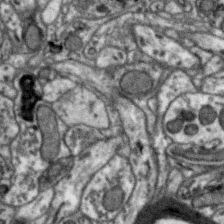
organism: Zebra finch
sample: Brain